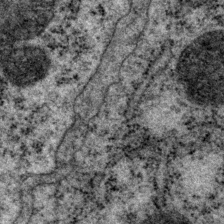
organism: P. pacificus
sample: Pharynx